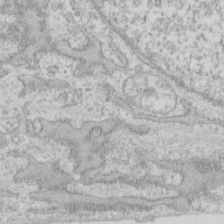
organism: Human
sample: Fibroblast cells